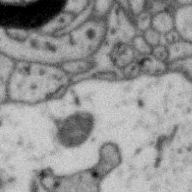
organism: Zebra finch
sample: Brain